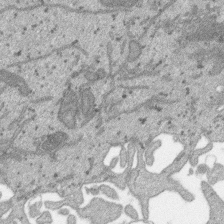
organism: Human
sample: Lung epithelial cells infected with SARS-CoV-2